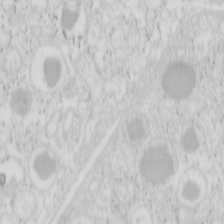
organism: Mouse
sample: Pancreas